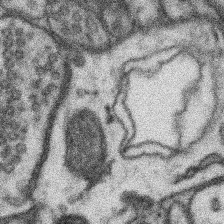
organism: Mouse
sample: Somatosensory cortex neuropil